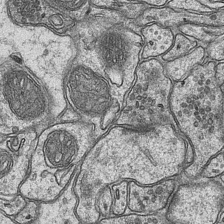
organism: Mouse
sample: CA1 Hippocampus